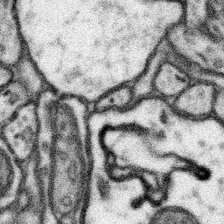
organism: Mouse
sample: Somatosensory cortex neuropil